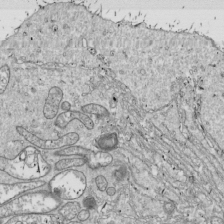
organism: Drosophila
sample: Cell division; meiosis; drosophila spermatocytes